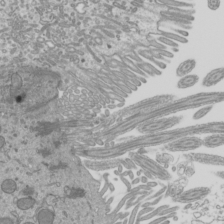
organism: Mouse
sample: Cilia; mouse epididymis